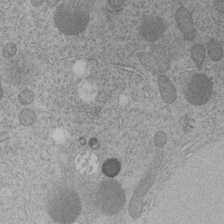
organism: C. elegans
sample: C. elegans embryo early stage